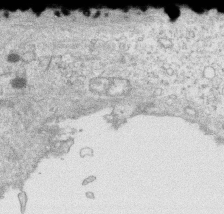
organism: Human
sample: HeLa cell HIV synapse